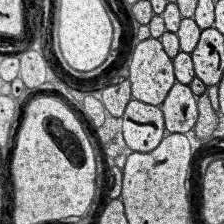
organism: Human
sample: Temporal Lobe